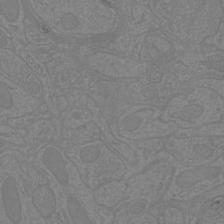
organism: Mouse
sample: Cortical neurons